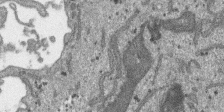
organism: Human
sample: Lung epithelial cells infected with SARS-CoV-2